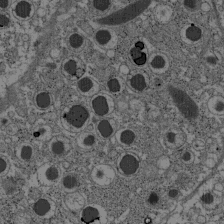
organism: C57BL Mouse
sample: Pancreatic islet